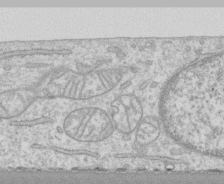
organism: Human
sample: CRL-1474